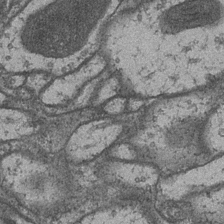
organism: Drosophila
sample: Optic medulla